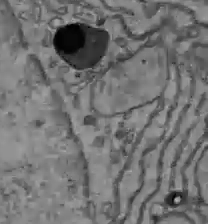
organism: C57BL Mouse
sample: Liver